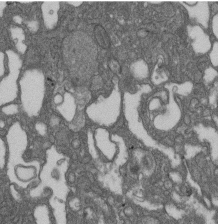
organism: Drosophila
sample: Nephrocyte